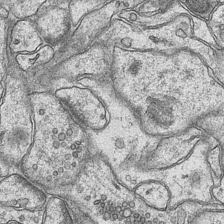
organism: Mouse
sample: CA1 Hippocampus